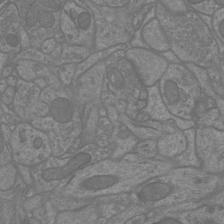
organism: Mouse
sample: Cortical neurons